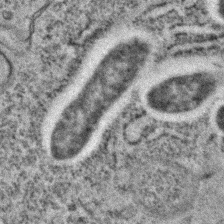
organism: C. elegans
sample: C. elegans embryo